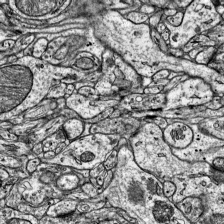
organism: Mouse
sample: Visual Cortex